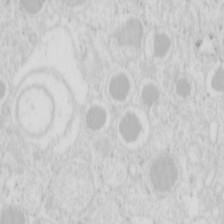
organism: Mouse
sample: Pancreas